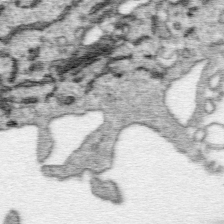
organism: Human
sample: HeLa cells